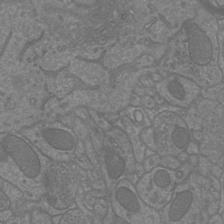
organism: Mouse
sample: Cortical neurons